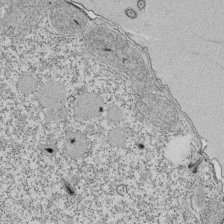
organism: Tetrahymena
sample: Cilia in tetrahymena